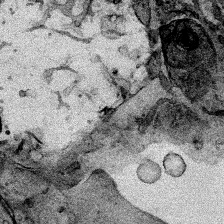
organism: Human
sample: Mitochondria in HCT116 cells